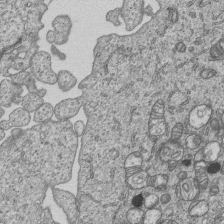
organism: Human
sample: MDA-MB-231 cells